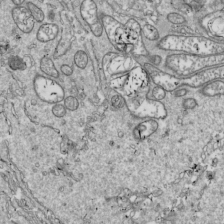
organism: Drosophila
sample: Cell division; meiosis; drosophila spermatocytes